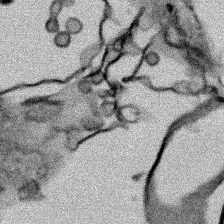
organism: Human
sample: Mitochondria in HCT116 cells